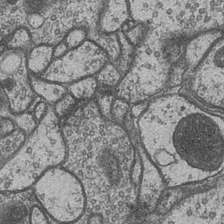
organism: Drosophila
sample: Optic medulla